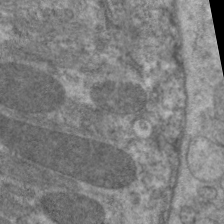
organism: C. elegans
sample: Pharynx